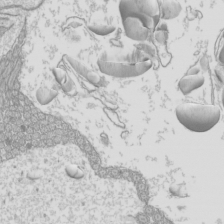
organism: Mouse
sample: Cilia; mouse epididymis